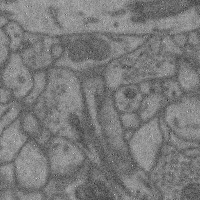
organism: Mouse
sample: Cerebral cortex